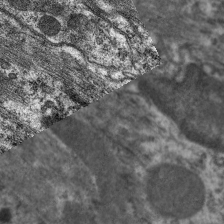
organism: C. elegans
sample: Pharynx